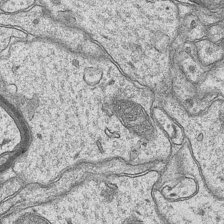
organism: Mouse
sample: CA1 Hippocampus